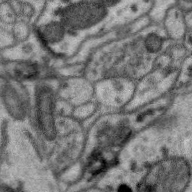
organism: Zebra finch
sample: Brain